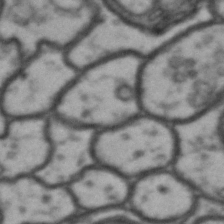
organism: Drosophila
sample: Brain